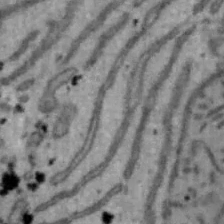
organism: Mouse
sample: Liver